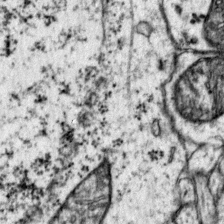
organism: Mouse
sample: Primary visual cortex